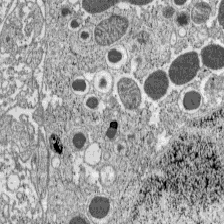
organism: C57BL Mouse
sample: Pancreatic islet